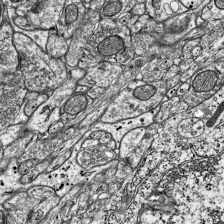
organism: Mouse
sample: Visual Cortex